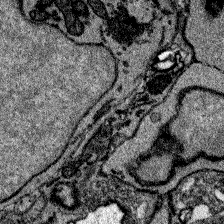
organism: Zebrafish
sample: Larval olfactory bulb